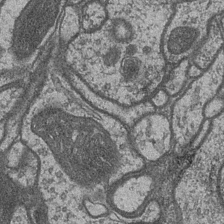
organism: Drosophila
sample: Optic medulla